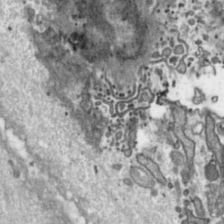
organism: Toxoplasma gondii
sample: Parasites in a vacuole inside a host cell